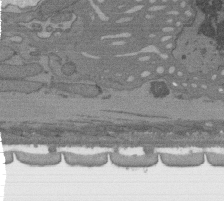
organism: C. elegans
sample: AFD neurons C. elegans